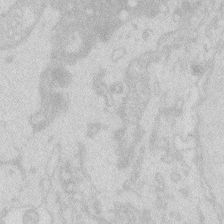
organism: Zebrafish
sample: Macrophage